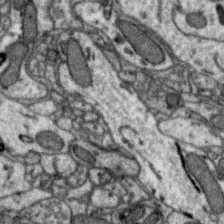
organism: Zebra finch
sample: Brain